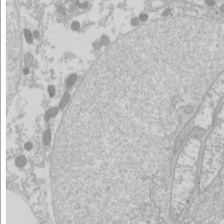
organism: Drosophila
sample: Cell division; meiosis; drosophila spermatocytes